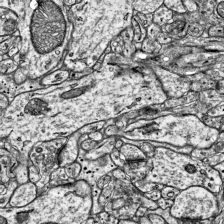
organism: Mouse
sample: Visual Cortex